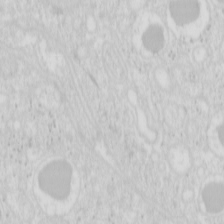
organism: Mouse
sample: Pancreas